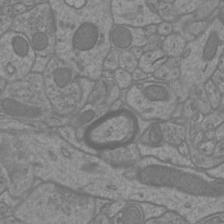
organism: Mouse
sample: Cortical neurons